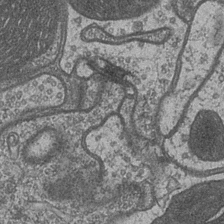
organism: Drosophila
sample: Optic medulla